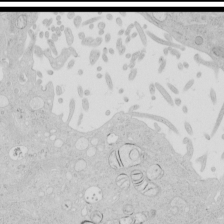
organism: Human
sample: Mitochondria in HCT116 cells